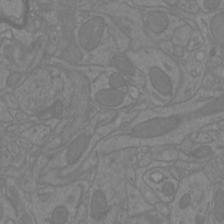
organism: Mouse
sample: Cortical neurons